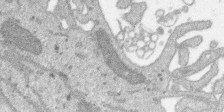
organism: Human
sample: Lung epithelial cells infected with SARS-CoV-2